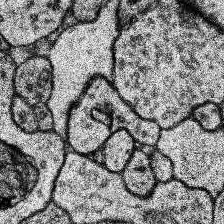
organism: Human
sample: Temporal Lobe